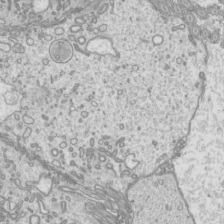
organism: Mouse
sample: Cilia; mouse epididymis